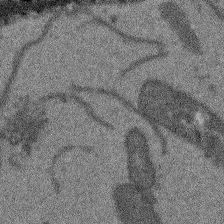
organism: Arabidopsis thaliana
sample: Root tip